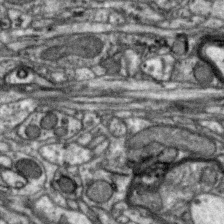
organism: Zebra finch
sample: Brain